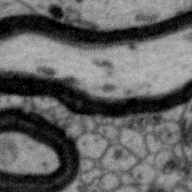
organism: Zebra finch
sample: Brain